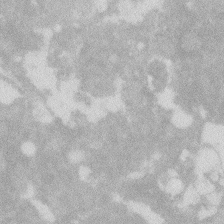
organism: Zebrafish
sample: Macrophage